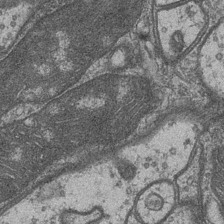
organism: Drosophila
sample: Optic medulla